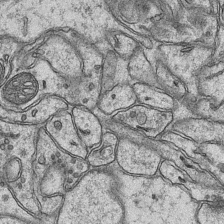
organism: Mouse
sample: CA1 Hippocampus